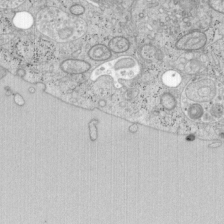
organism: Mouse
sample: OT-I killer T cells with ID8 ovarian cancer cells